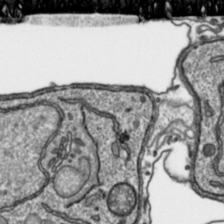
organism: Toxoplasma gondii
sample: Parasites in a vacuole inside a host cell